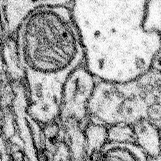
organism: Mouse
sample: Somatosensory cortex neuropil